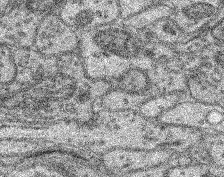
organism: Mouse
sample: Retina